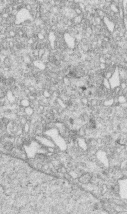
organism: Human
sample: HeLa cell HIV synapse